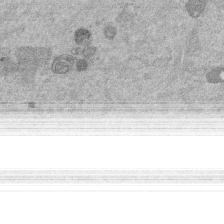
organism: Mouse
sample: Dividing mouse embryo 1 cell stage